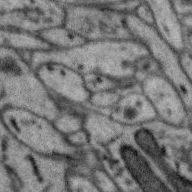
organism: Zebra finch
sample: Brain